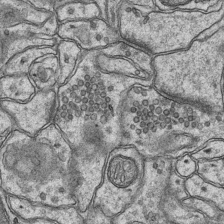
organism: Mouse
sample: CA1 Hippocampus